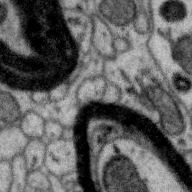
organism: Zebra finch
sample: Brain